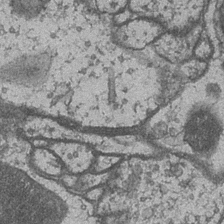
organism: Drosophila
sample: Optic medulla